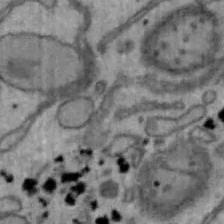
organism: Mouse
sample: Liver